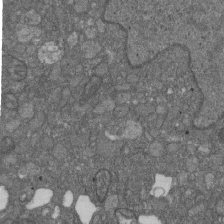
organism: Drosophila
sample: Nephrocyte